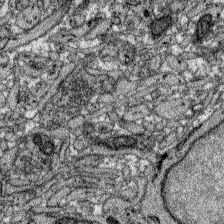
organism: Zebrafish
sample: Larval olfactory bulb